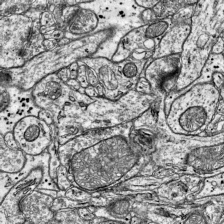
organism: Mouse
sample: Visual Cortex